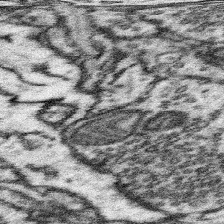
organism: Mouse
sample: Somatosensory cortex neuropil